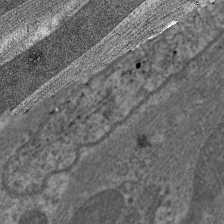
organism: C. elegans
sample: Pharynx